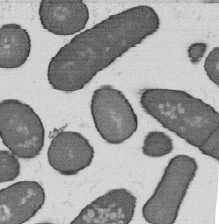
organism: B. subtilis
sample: Bacterial spore